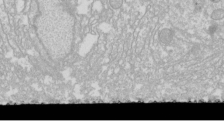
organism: Drosophila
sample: Cell division; meiosis; drosophila spermatocytes